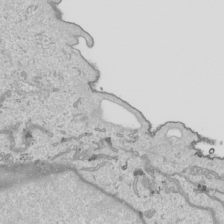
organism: Human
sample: Mitochondria in HCT116 cells